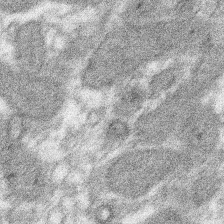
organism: Xenopus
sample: Cilia; centrioles in frog embryo cells